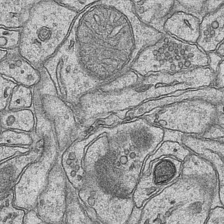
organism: Mouse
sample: CA1 Hippocampus